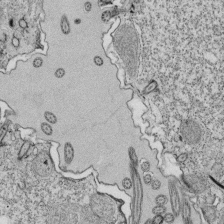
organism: Tetrahymena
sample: Cilia in tetrahymena